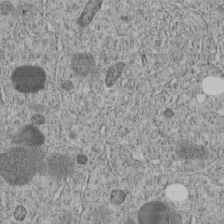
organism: C. elegans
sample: C. elegans embryo early stage